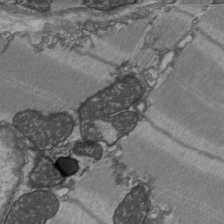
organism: C57BL Mouse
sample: Heart